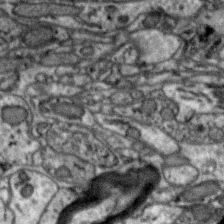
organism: Zebra finch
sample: Brain